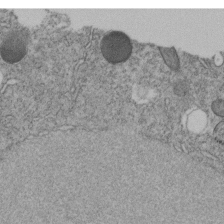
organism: C. elegans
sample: C. elegans embryo early stage